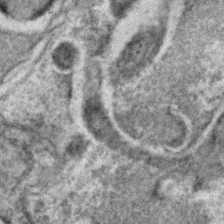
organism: C. elegans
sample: C. elegans embryo